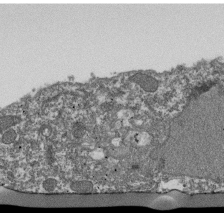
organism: Dictyostelium discoideum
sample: Dictyostelium multivesicular bodies